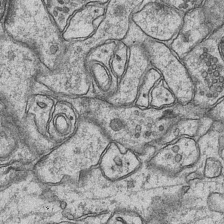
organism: Mouse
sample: CA1 Hippocampus